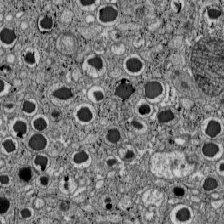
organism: C57BL Mouse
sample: Pancreatic islet